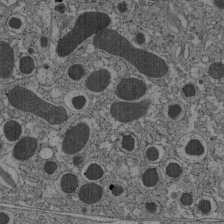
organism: C57BL Mouse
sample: Pancreatic islet